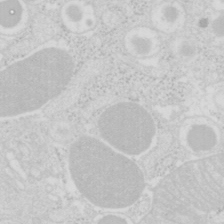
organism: Mouse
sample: Pancreas